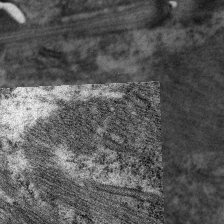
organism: C. elegans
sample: Pharynx